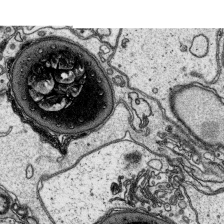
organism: Platynereis dumerilii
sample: Parapodia